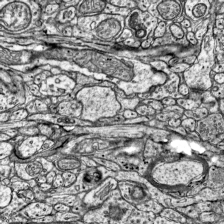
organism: Mouse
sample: Visual Cortex